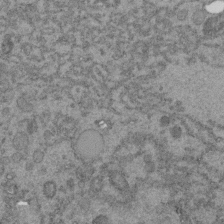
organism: C. elegans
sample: C. elegans embryo early stage